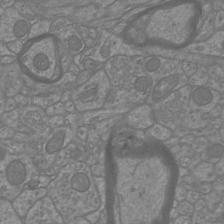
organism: Mouse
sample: Cortical neurons